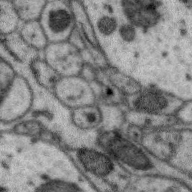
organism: Zebra finch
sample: Brain